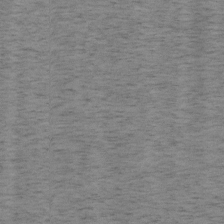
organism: Mouse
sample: OT-I killer T cells with ID8 ovarian cancer cells